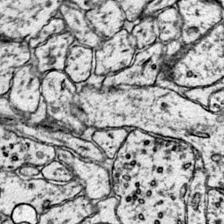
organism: Mouse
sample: Primary visual cortex